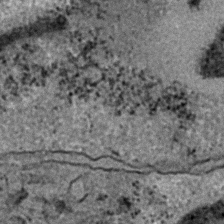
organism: C. elegans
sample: C. elegans embryo